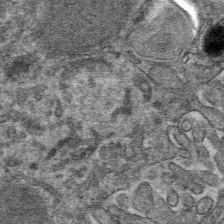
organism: Mouse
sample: Mouse hepatocytes